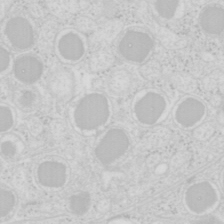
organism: Mouse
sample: Pancreas